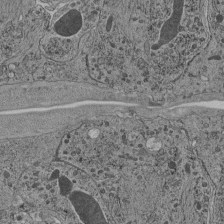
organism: C. elegans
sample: C. elegans pharynx